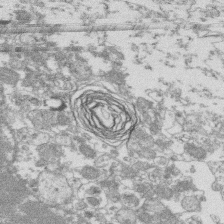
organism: Human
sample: HeLa cell HIV synapse